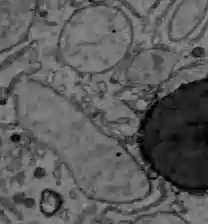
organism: C57BL Mouse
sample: Liver